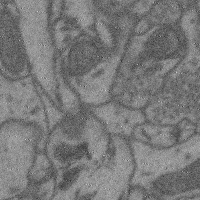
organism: Mouse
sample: Cerebral cortex